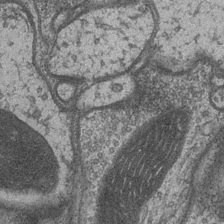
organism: Drosophila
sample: Optic medulla